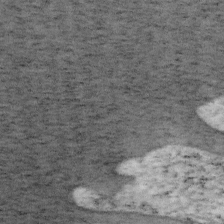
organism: Mouse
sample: OT-I killer T cells with ID8 ovarian cancer cells